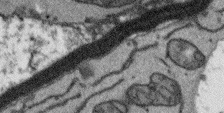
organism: Arabidopsis thaliana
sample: Root tip